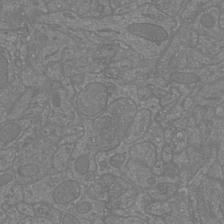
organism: Mouse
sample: Cortical neurons